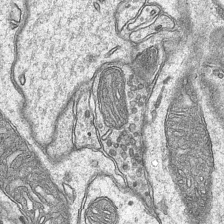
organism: Mouse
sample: CA1 Hippocampus